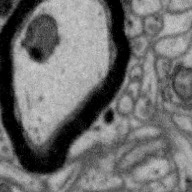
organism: Zebra finch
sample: Brain